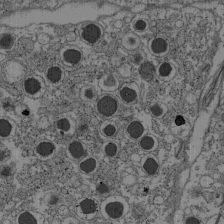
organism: C57BL Mouse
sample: Pancreatic islet